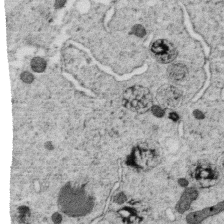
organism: C. elegans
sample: C. elegans oocyte; sperm cells